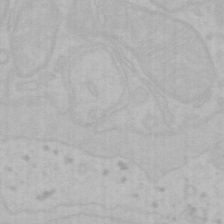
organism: Mouse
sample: Choroid plexus